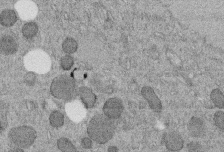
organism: C. elegans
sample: C. elegans embryo early stage